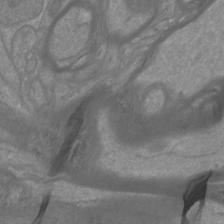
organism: Mouse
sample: Cortical neurons